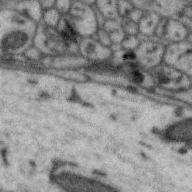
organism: Zebra finch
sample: Brain